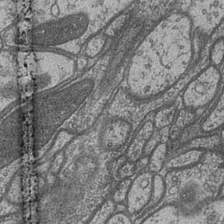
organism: Drosophila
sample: Optic medulla